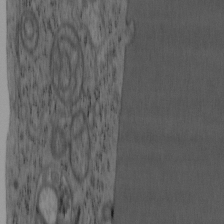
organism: Human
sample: HeLa cells